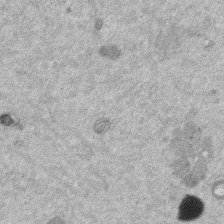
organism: Mouse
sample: Dividing mouse embryo 1 cell stage